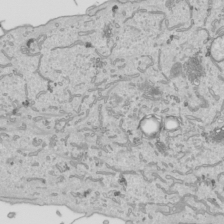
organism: Human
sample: Mitochondria in HCT116 cells